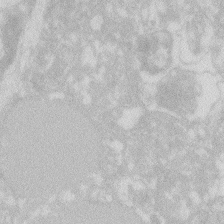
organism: Zebrafish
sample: Macrophage